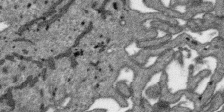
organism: Human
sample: Lung epithelial cells, uninfected (mock) control